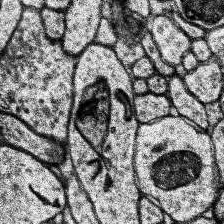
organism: Human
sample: Temporal Lobe